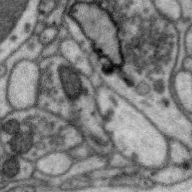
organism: Zebra finch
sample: Brain